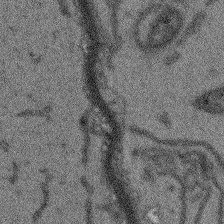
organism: Arabidopsis thaliana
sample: Root tip